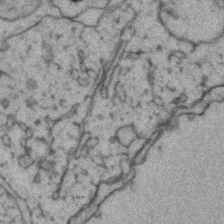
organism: Zebrafish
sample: Zebrafish embryo